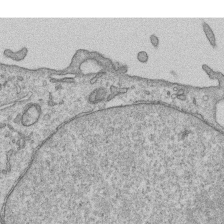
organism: Human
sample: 1205lu cells